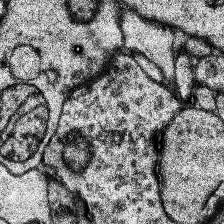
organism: Human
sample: Temporal Lobe